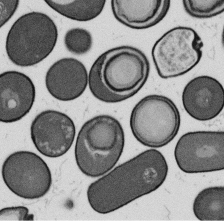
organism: B. subtilis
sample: Bacterial spore